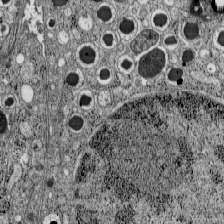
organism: C57BL Mouse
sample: Pancreatic islet